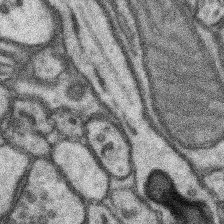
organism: Mouse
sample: Somatosensory cortex neuropil